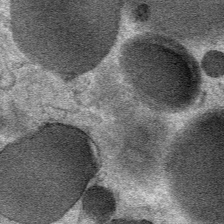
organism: Mouse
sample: Mouse Salivary gland